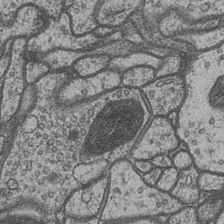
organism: Drosophila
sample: Optic medulla